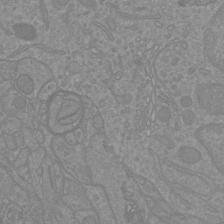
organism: Mouse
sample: Cortical neurons